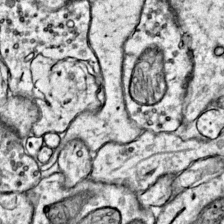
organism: Mouse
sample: Primary visual cortex